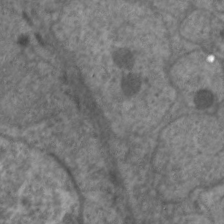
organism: C. elegans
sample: Pharynx